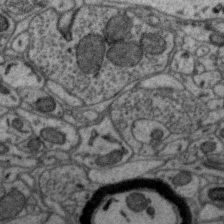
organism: Zebra finch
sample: Brain